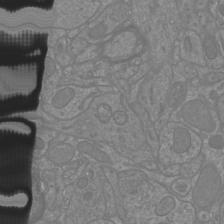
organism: Mouse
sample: Cortical neurons